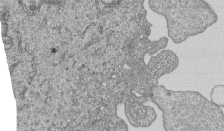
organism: Human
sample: MDA-MB-231 cells